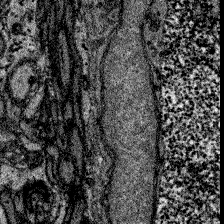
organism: Zebrafish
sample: Larval olfactory bulb